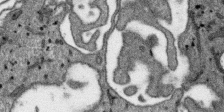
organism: Human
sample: Lung epithelial cells, uninfected (mock) control